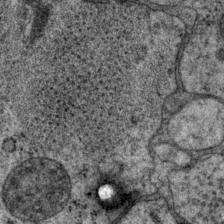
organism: P. pacificus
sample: Pharynx